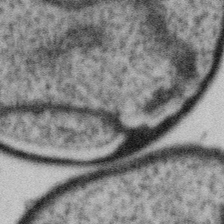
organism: Gemmata obscuriglobus